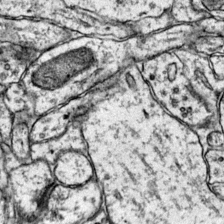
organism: Mouse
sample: Primary visual cortex